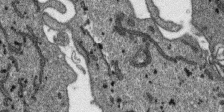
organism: Human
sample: Lung epithelial cells infected with SARS-CoV-2